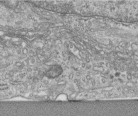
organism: Human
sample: Centriole in RPE cells